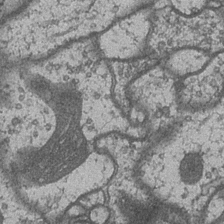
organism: Drosophila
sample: Optic medulla